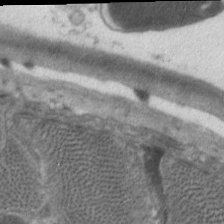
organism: C. elegans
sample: Pharynx